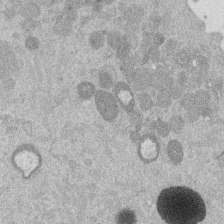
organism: Mouse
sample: Dividing mouse embryo 1 cell stage